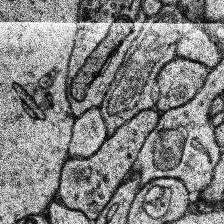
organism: Human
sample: Temporal Lobe